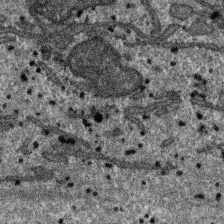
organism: Human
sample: Lung epithelial cells infected with SARS-CoV-2